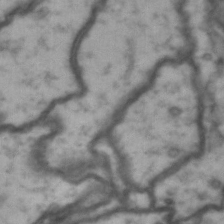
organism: Drosophila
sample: Brain